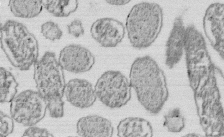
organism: E. coli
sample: Bacterial nucleoid